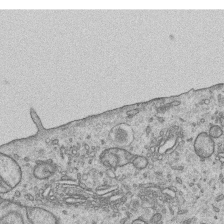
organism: Human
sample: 1205lu cells